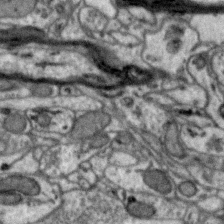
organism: Zebra finch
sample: Brain